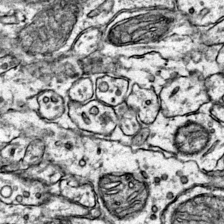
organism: Mouse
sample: Primary visual cortex